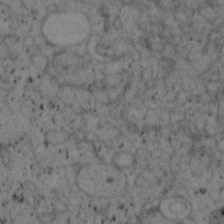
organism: Human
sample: HeLa cells